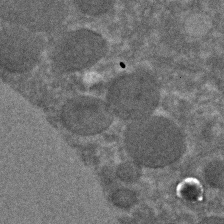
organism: C. elegans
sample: C. elegans embryo